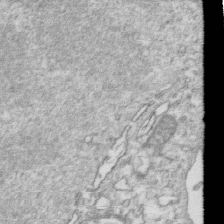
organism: Mouse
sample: Activated OT-1 CD8+ T cells